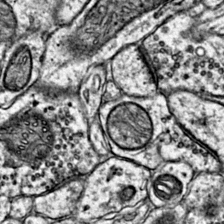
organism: Mouse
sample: Primary visual cortex